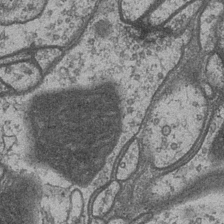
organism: Drosophila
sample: Optic medulla